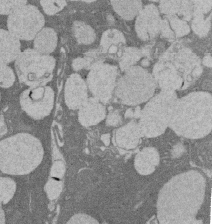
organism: Rat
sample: Salivary granule